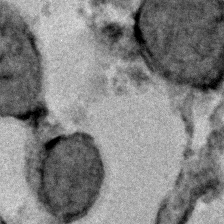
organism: C. elegans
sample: C. elegans embryo